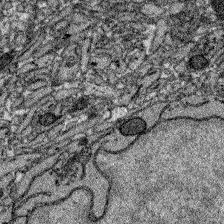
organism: Zebrafish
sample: Larval olfactory bulb